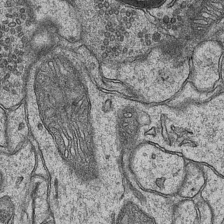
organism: Mouse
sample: CA1 Hippocampus